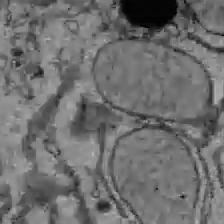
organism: C57BL Mouse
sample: Liver